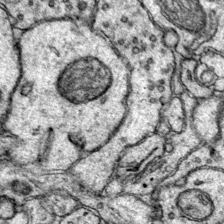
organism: Mouse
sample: Primary visual cortex